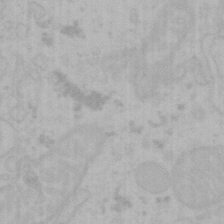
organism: Mouse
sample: Choroid plexus